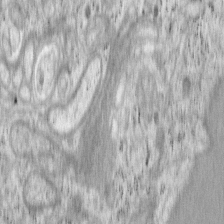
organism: Human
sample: HeLa cells